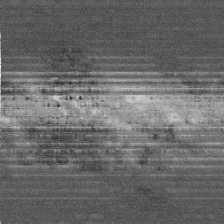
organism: Human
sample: Centriole in fibroblast cells